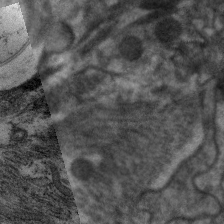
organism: C. elegans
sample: Pharynx